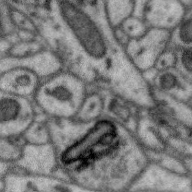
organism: Zebra finch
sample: Brain